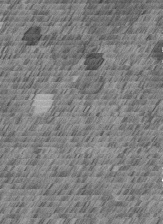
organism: C. elegans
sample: C. elegans embryo early stage